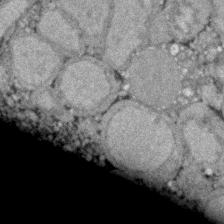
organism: Zebrafish